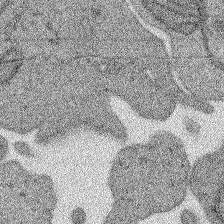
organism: Human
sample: HeLa cells